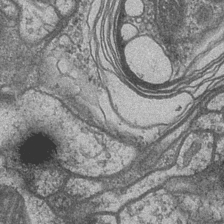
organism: Drosophila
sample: Optic medulla